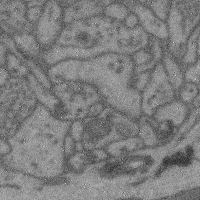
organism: Mouse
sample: Cerebral cortex